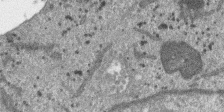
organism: Human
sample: Lung epithelial cells infected with SARS-CoV-2